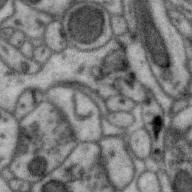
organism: Zebra finch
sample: Brain